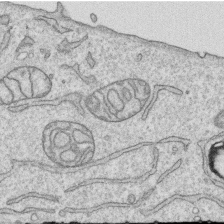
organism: Human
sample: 1205lu cells